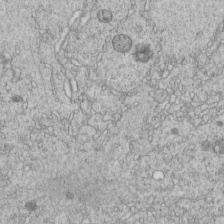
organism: C. elegans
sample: C. elegans embryo early stage